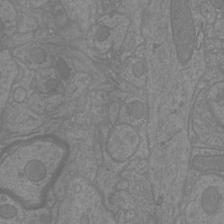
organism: Mouse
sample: Cortical neurons